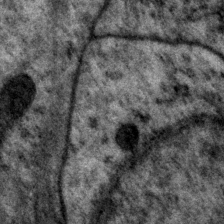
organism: P. pacificus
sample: Pharynx